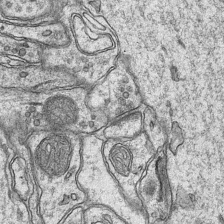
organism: Mouse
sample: CA1 Hippocampus